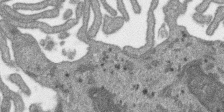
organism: Human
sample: Lung epithelial cells infected with SARS-CoV-2